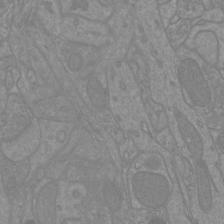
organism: Mouse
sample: Cortical neurons